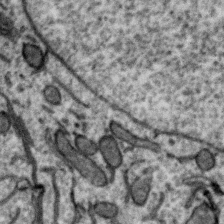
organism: Zebra finch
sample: Brain